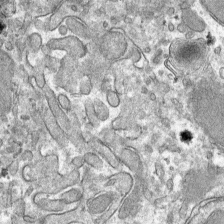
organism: Mouse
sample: Mouse hepatocytes